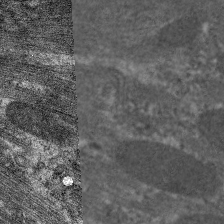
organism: C. elegans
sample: Pharynx